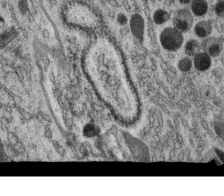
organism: C. elegans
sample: C. elegans oocyte; sperm cells